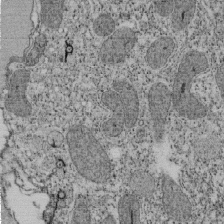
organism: Tetrahymena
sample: Cilia in tetrahymena